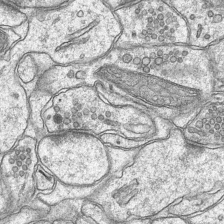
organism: Mouse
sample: CA1 Hippocampus